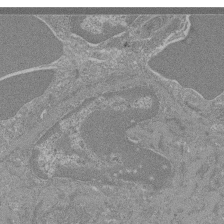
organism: Mouse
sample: Glomerulus